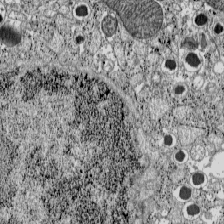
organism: C57BL Mouse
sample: Pancreatic islet